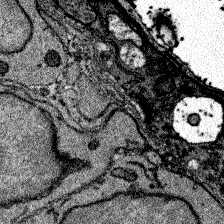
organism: Zebrafish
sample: Larval olfactory bulb